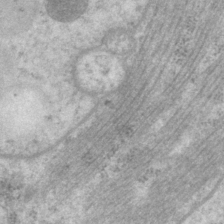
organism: P. pacificus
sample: Pharynx